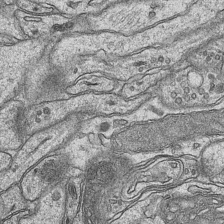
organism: Mouse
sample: CA1 Hippocampus